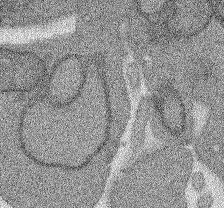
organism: Human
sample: HeLa cells